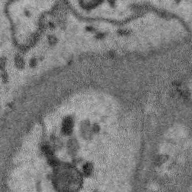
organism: Zebra finch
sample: Brain